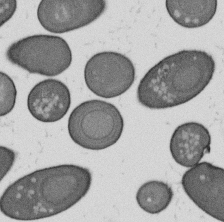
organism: B. subtilis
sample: Bacterial spore